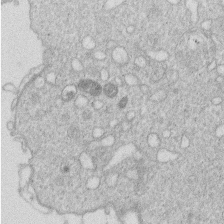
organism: Human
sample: Macrophage cells